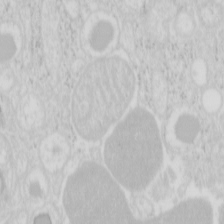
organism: Mouse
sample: Pancreas